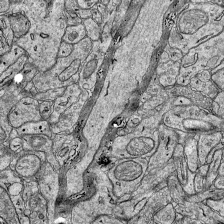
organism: Mouse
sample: Visual Cortex